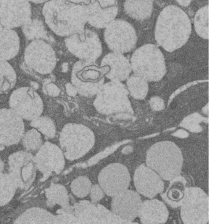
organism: Rat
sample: Salivary granule